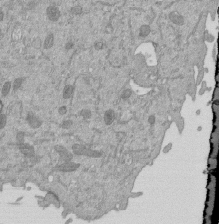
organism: Mouse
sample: ED-1 cell nuclei; centrioles